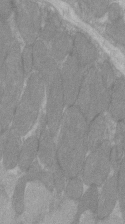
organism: C57BL Mouse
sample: Tibialis anterior muscle cell